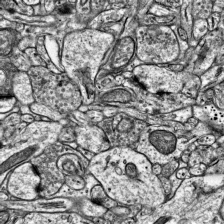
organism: Mouse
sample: Visual Cortex